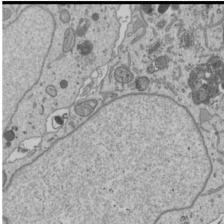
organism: Human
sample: Mitochondria in U2OS cells